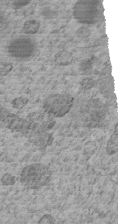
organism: C. elegans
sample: C. elegans embryo early stage